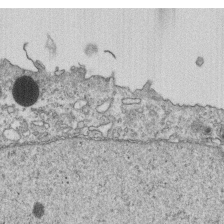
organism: Human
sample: HeLa cell HIV synapse